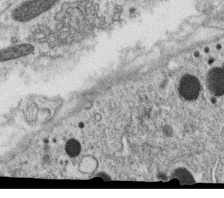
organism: C. elegans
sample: C. elegans oocyte; sperm cells